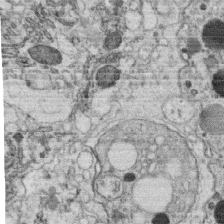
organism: C. elegans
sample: C. elegans oocyte; sperm cells